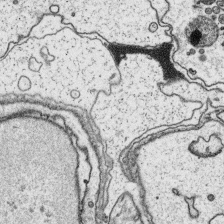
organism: Platynereis dumerilii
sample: Parapodia